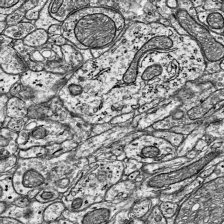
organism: Mouse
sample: Visual Cortex